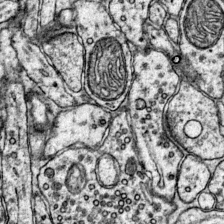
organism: Mouse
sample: Primary visual cortex